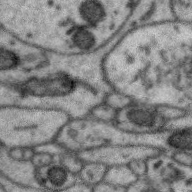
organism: Zebra finch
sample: Brain